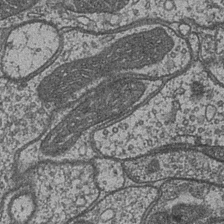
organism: Drosophila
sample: Optic medulla